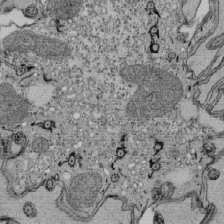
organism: Tetrahymena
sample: Cilia in tetrahymena